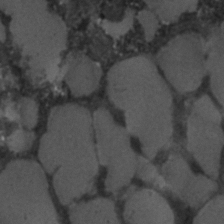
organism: C. elegans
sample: C. elegans embryo